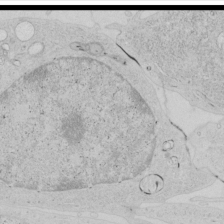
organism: Human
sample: Mitochondria in HCT116 cells